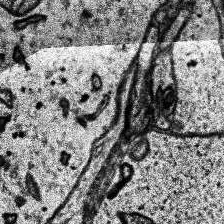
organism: Human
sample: Temporal Lobe